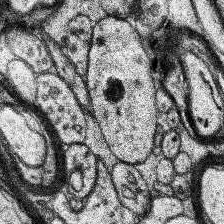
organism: Human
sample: Temporal Lobe